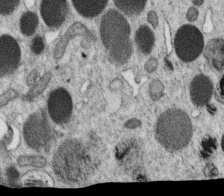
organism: C. elegans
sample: C. elegans oocyte; sperm cells